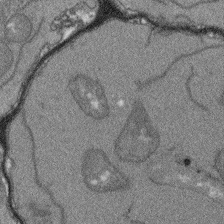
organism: Arabidopsis thaliana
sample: Root tip